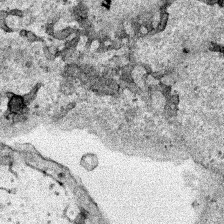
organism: Human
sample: Mitochondria in HCT116 cells